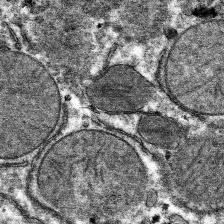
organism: Mouse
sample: Mouse hepatocytes